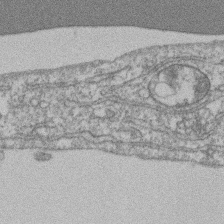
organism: Mouse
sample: T cell stromal cell synapse